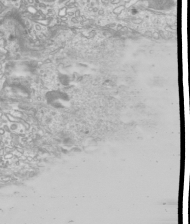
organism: Mouse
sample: Cilia; mouse epididymis